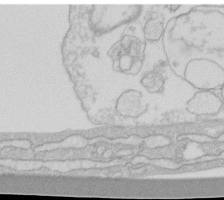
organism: Human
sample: Fibroblast cells